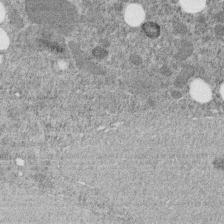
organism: C. elegans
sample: C. elegans embryo early stage